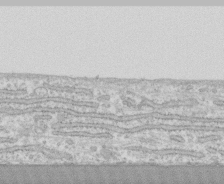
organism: Human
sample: CRL-1474